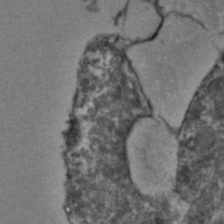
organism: Zebrafish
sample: Zebrafish embryo